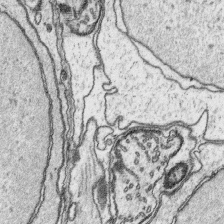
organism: Platynereis dumerilii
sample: Parapodia